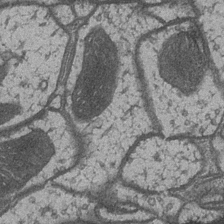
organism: Drosophila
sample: Optic medulla